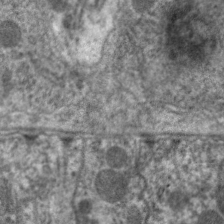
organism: C. elegans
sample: Pharynx